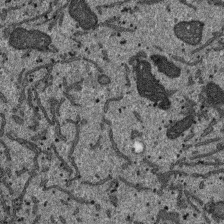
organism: Human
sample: Lung epithelial cells infected with SARS-CoV-2